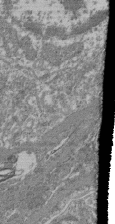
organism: Mouse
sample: Glomerulus